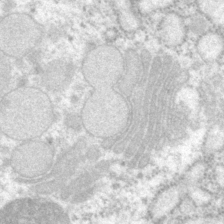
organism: P. pacificus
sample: Pharynx